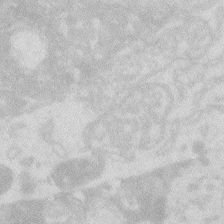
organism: Zebrafish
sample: Macrophage